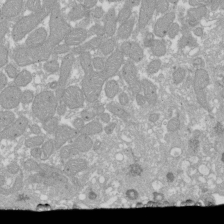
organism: Xenopus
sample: Cilia; centrioles in frog embryo cells